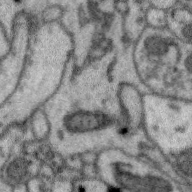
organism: Zebra finch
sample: Brain